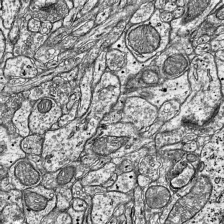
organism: Mouse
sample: Visual Cortex